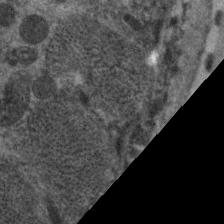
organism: C. elegans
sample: Pharynx